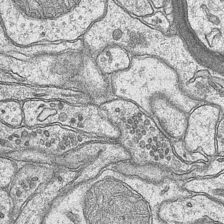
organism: Mouse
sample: CA1 Hippocampus